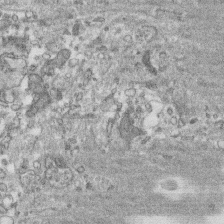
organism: Human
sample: CRL-1474